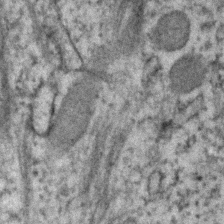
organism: Human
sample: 1205lu cells